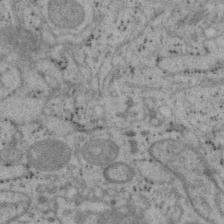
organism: Human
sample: HeLa cells